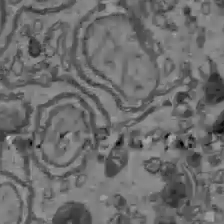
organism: C57BL Mouse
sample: Liver